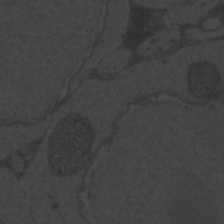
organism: Zebrafish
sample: Macrophage infected with Toxoplasma gondii